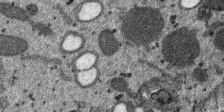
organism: Human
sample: Lung epithelial cells infected with SARS-CoV-2